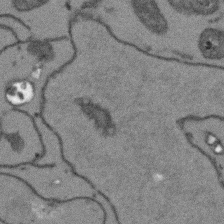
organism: Arabidopsis thaliana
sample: Root tip